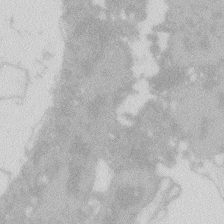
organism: Zebrafish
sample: Macrophage